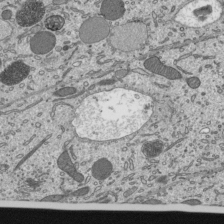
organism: Mouse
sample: Mouse epididymis efferent ductule cilia